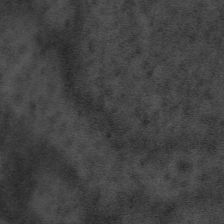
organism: Tuwongella immobilis